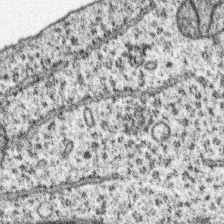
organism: Human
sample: HeLa cells